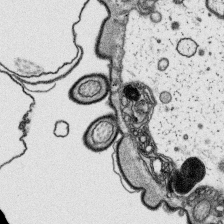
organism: Platynereis dumerilii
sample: Parapodia